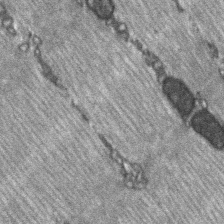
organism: C57BL Mouse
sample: Soleus